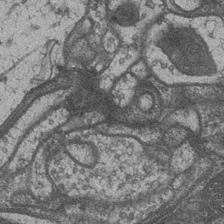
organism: Drosophila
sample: Optic medulla